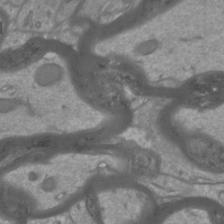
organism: Mouse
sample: Cortical neurons